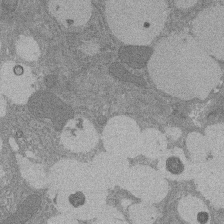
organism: Rat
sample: Salivary granule